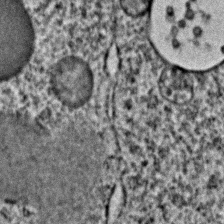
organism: C. elegans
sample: C. elegans embryo